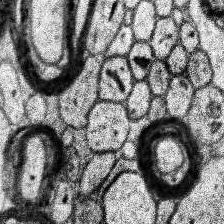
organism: Human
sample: Temporal Lobe